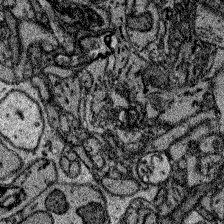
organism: Zebrafish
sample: Larval olfactory bulb